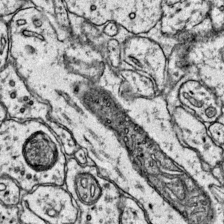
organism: Mouse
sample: Primary visual cortex